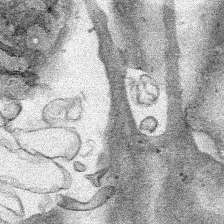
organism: Human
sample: Mitochondria in HCT116 cells